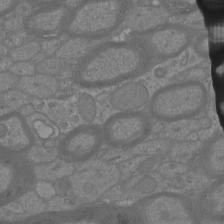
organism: Mouse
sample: Cortical neurons